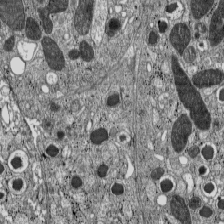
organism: C57BL Mouse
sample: Pancreatic islet